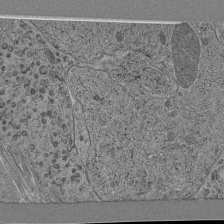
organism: C. elegans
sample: C. elegans pharynx